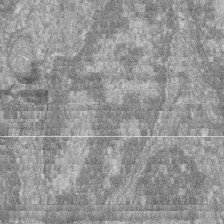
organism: Zebrafish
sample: Cilia; retinal pigment epithelium